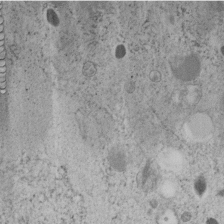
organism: C. elegans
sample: C. elegans embryo early stage